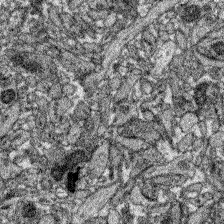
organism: Zebrafish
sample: Larval olfactory bulb